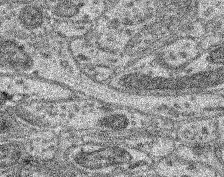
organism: Mouse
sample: Retina